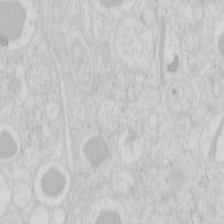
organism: Mouse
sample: Pancreas